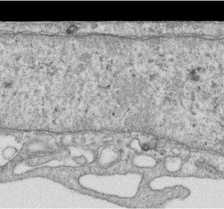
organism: Human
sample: Centriole in RPE cells